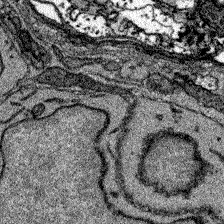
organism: Zebrafish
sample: Larval olfactory bulb